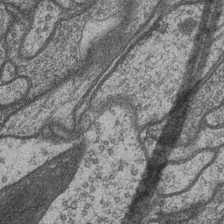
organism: Drosophila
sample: Optic medulla